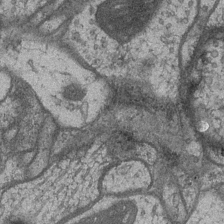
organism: Drosophila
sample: Optic medulla